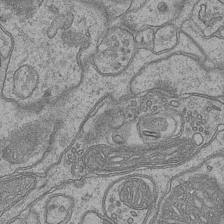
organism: Mouse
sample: CA1 Hippocampus